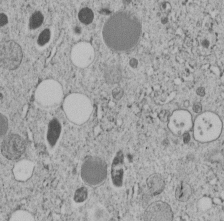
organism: C. elegans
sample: C. elegans embryo early stage